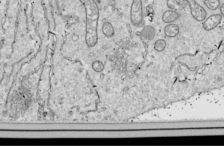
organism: Drosophila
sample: Cell division; meiosis; drosophila spermatocytes